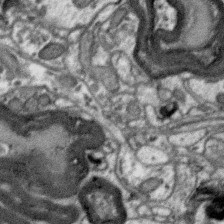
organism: Zebra finch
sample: Brain